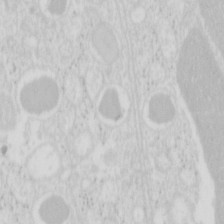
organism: Mouse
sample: Pancreas